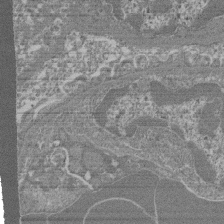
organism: Mouse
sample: Glomerulus